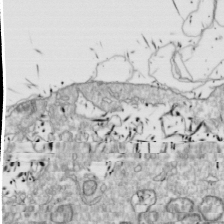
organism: Drosophila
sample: Cell division; meiosis; drosophila spermatocytes